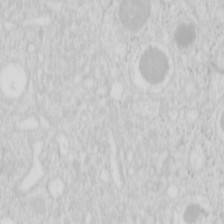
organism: Mouse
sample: Pancreas